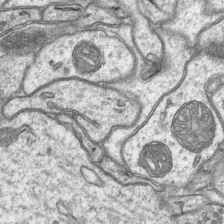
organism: Mouse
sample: CA1 Hippocampus